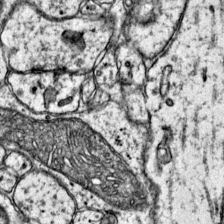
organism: Mouse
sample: Primary visual cortex